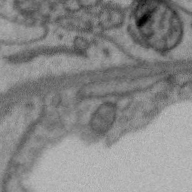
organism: Zebra finch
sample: Brain